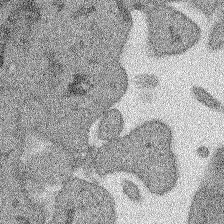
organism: Human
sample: HeLa cells